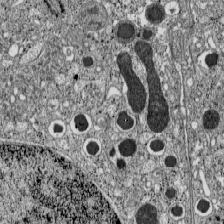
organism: C57BL Mouse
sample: Pancreatic islet